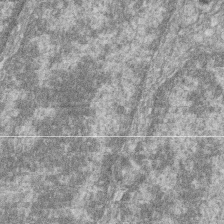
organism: Zebrafish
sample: Cilia; retinal pigment epithelium